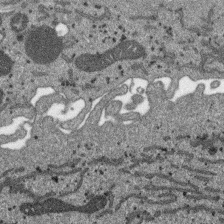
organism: Human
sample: Lung epithelial cells infected with SARS-CoV-2